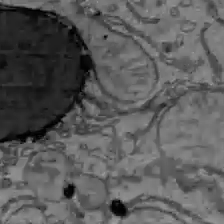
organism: C57BL Mouse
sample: Liver